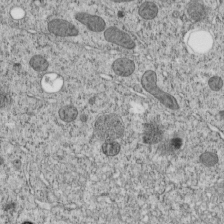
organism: C. elegans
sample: C. elegans embryo early stage